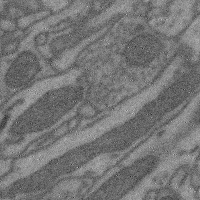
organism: Mouse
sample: Cerebral cortex